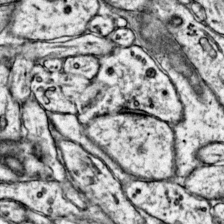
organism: Mouse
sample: Primary visual cortex